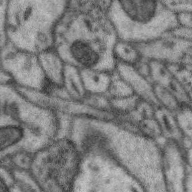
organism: Zebra finch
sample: Brain